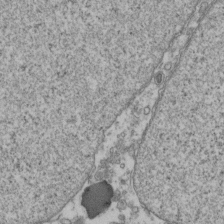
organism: Human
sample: Activated Jurkat CD4+ T cells